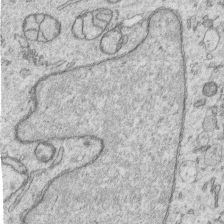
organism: Human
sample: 1205lu cells